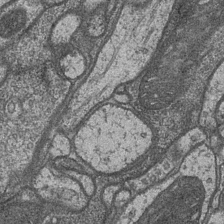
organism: Drosophila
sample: Optic medulla